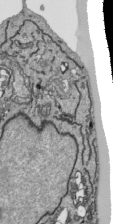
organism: Human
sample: Mitochondria in HCT116 cells